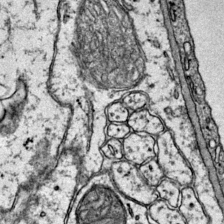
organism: Mouse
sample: Primary visual cortex